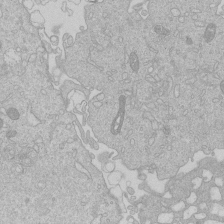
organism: Human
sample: Macrophage cells